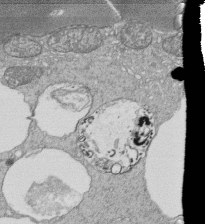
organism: Tetrahymena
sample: Cilia in tetrahymena